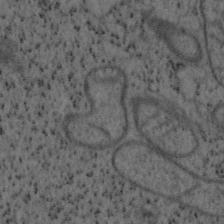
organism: Human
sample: HeLa cells